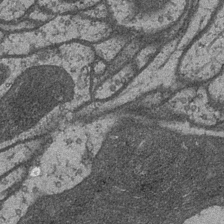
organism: Drosophila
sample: Optic medulla